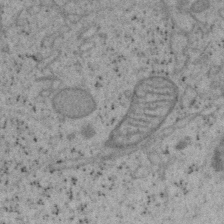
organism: Human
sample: HeLa cells